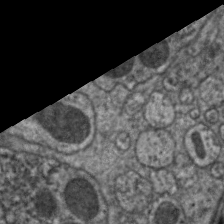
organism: C. elegans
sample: Pharynx